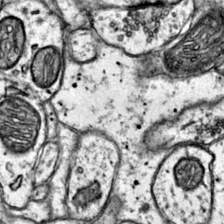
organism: Mouse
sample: Primary visual cortex